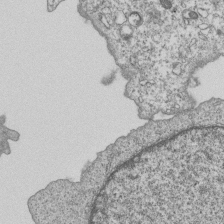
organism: Human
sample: MDA-MB-231 cells